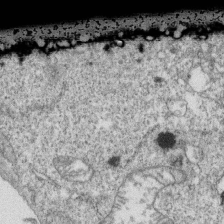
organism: Human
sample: HeLa cell HIV synapse